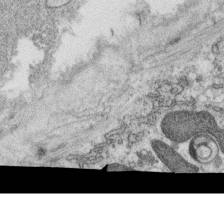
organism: C. elegans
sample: C. elegans oocyte; sperm cells